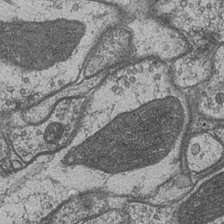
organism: Drosophila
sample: Optic medulla